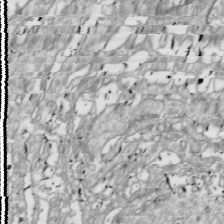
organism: Drosophila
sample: Cell division; meiosis; drosophila spermatocytes